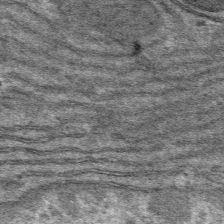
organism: Mouse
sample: Mouse hepatocytes